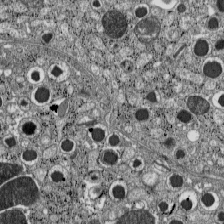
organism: C57BL Mouse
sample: Pancreatic islet